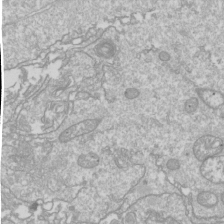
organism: Drosophila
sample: Cell division; meiosis; drosophila spermatocytes